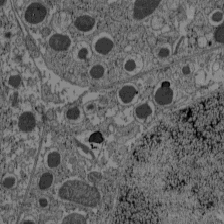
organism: C57BL Mouse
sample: Pancreatic islet